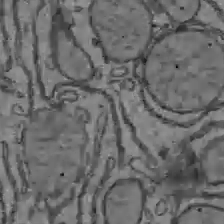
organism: C57BL Mouse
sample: Liver